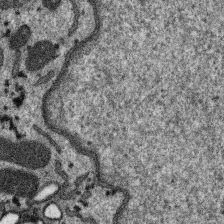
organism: Human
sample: Lung epithelial cells infected with SARS-CoV-2